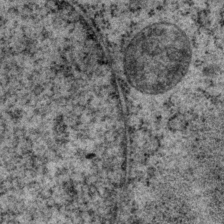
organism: P. pacificus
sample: Pharynx